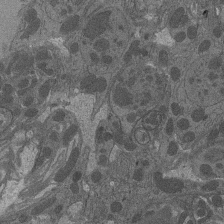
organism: Drosophila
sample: Antenna